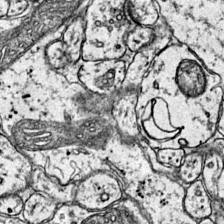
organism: Mouse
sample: Primary visual cortex